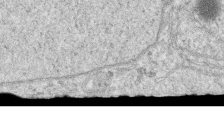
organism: Human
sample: HeLa cell HIV synapse